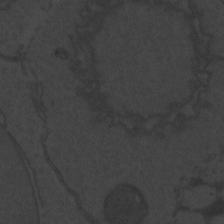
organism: Zebrafish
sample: Macrophage infected with Toxoplasma gondii